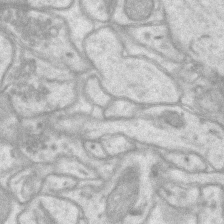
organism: Mouse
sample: CA1 Hippocampus